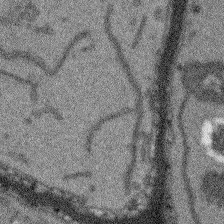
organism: Arabidopsis thaliana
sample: Root tip